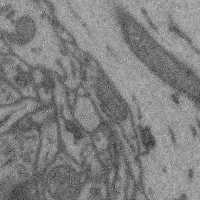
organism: Mouse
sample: Cerebral cortex